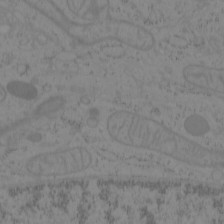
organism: Human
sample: HeLa cells